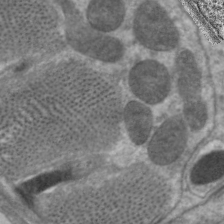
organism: C. elegans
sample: Pharynx